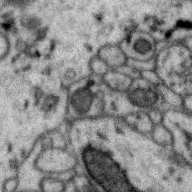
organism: Zebra finch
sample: Brain